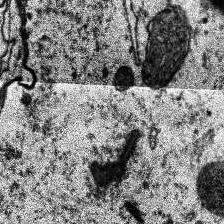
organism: Human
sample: Temporal Lobe